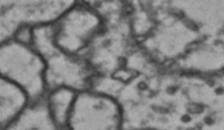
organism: Drosophila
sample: Brain